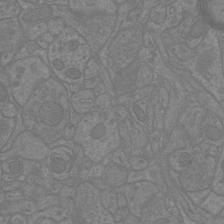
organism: Mouse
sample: Cortical neurons